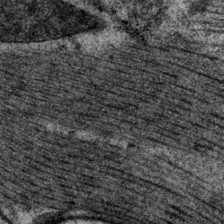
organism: P. pacificus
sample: Pharynx